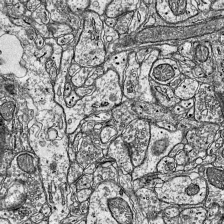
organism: Mouse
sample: Visual Cortex